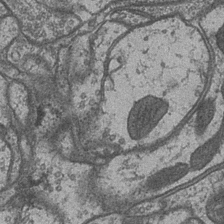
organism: Drosophila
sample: Optic medulla